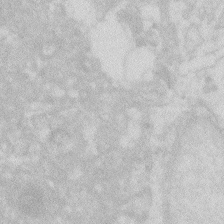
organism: Zebrafish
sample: Macrophage